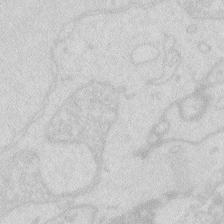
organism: Zebrafish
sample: Macrophage